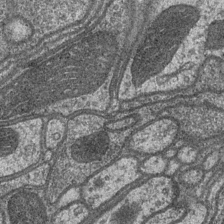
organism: Drosophila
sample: Optic medulla